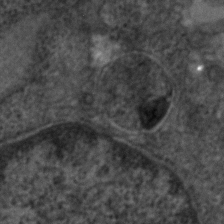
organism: Human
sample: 1205lu cells